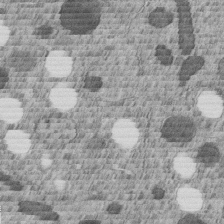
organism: C. elegans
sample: C. elegans embryo early stage